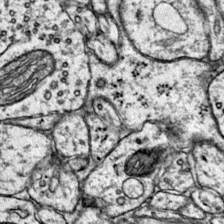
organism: Mouse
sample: Primary visual cortex